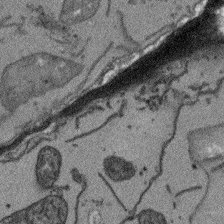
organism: Arabidopsis thaliana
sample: Root tip